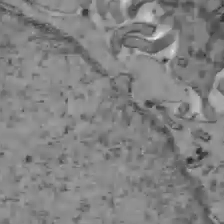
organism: C57BL Mouse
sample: Liver